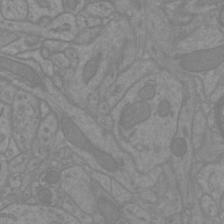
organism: Mouse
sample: Cortical neurons